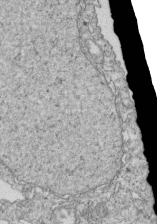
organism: Human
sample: HeLa cell HIV synapse